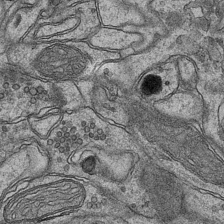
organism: Mouse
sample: CA1 Hippocampus